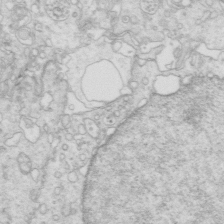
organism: Mouse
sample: Multiciliated cells